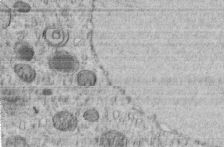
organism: C. elegans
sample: C. elegans embryo early stage